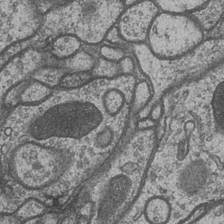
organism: Drosophila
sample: Optic medulla